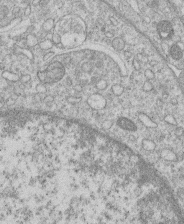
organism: Human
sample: Macrophage cells